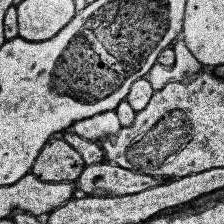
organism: Human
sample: Temporal Lobe